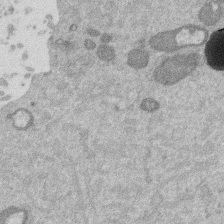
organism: Mouse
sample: Dividing mouse embryo 1 cell stage